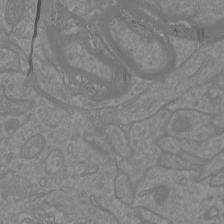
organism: Mouse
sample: Cortical neurons